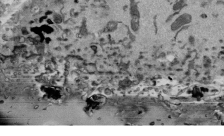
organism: Mouse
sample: ED-1 cell nuclei; centrioles